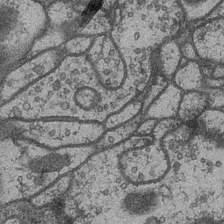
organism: Drosophila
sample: Optic medulla